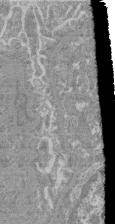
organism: Mouse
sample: Glomerulus